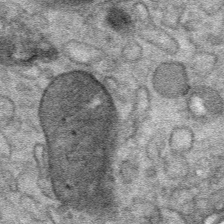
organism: Mouse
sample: Mouse Salivary gland